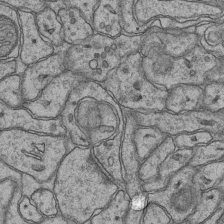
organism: Mouse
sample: CA1 Hippocampus